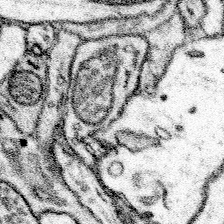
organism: Mouse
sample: Somatosensory cortex neuropil